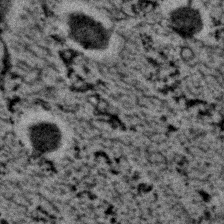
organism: C. elegans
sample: C. elegans embryo